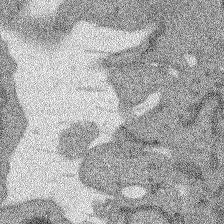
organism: Human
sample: HeLa cells